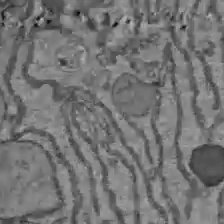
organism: C57BL Mouse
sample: Liver